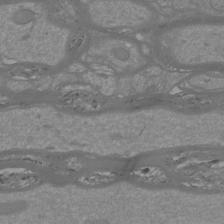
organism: Mouse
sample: Cortical neurons